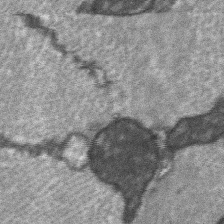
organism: C57BL Mouse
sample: Soleus